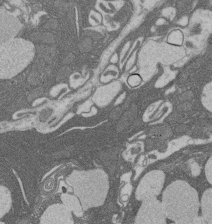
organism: Rat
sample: Salivary granule